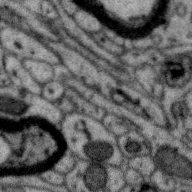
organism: Zebra finch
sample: Brain